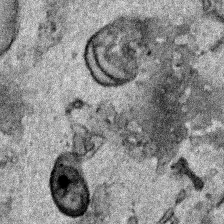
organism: Human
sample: Mitochondria in HCT116 cells